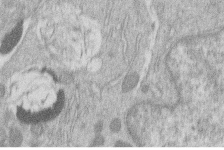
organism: Human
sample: Macrophage cells